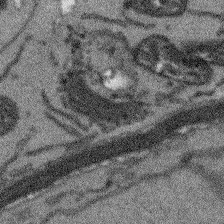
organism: Arabidopsis thaliana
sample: Root tip